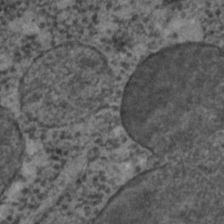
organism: C. elegans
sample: C. elegans embryo